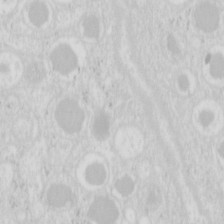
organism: Mouse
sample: Pancreas